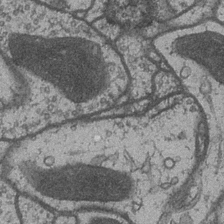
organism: Drosophila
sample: Optic medulla